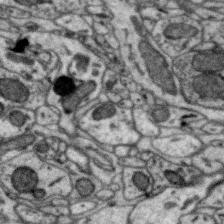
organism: Zebra finch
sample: Brain